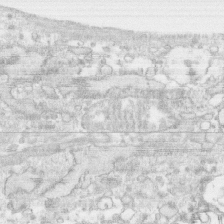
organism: Human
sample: CRL-1474